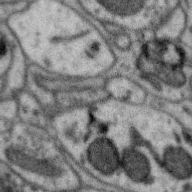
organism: Zebra finch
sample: Brain